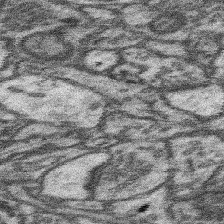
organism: Mouse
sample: Somatosensory cortex neuropil